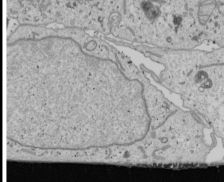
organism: Human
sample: Mitochondria in U2OS cells